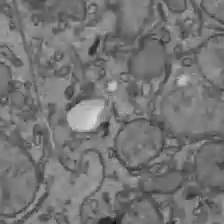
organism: C57BL Mouse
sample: Liver